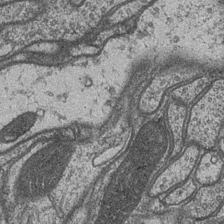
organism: Drosophila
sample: Optic medulla